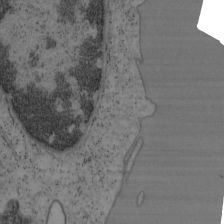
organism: Mouse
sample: OT-I killer T cells with ID8 ovarian cancer cells